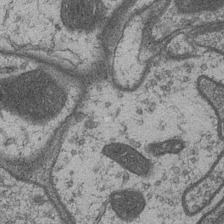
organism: Drosophila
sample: Optic medulla